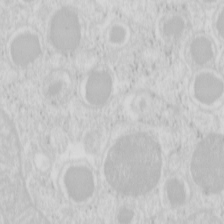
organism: Mouse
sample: Pancreas